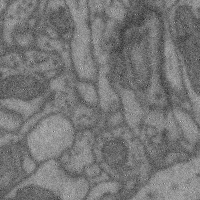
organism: Mouse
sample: Cerebral cortex